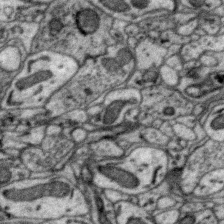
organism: Zebra finch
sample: Brain